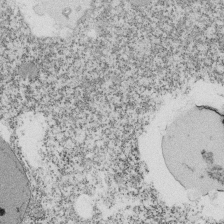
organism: Tetrahymena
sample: Cilia in tetrahymena